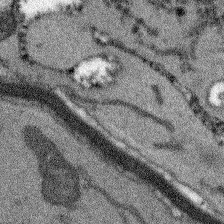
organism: Arabidopsis thaliana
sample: Root tip